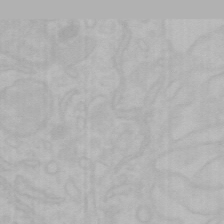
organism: Mouse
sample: Choroid plexus